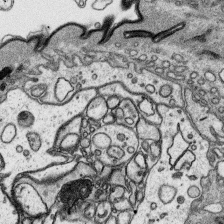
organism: Platynereis dumerilii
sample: Parapodia